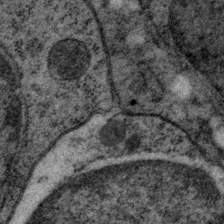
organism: P. pacificus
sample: Pharynx